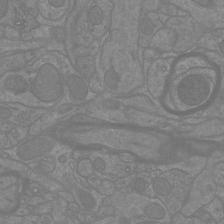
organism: Mouse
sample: Cortical neurons